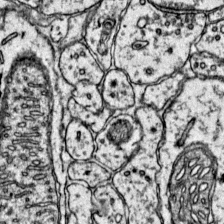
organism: Mouse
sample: Primary visual cortex